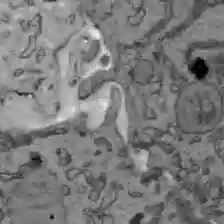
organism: C57BL Mouse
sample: Liver